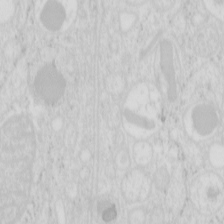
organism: Mouse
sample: Pancreas